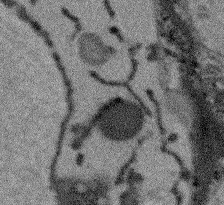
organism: Arabidopsis thaliana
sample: Root tip